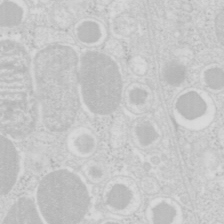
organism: Mouse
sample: Pancreas